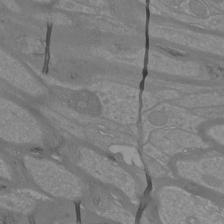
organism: Mouse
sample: Cortical neurons